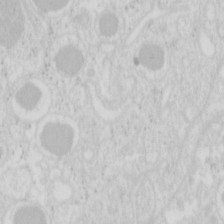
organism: Mouse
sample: Pancreas